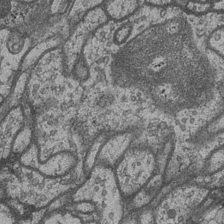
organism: Drosophila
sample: Optic medulla